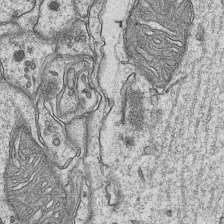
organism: Mouse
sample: CA1 Hippocampus